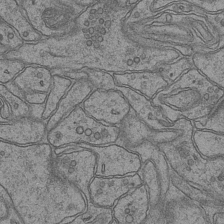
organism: Mouse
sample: CA1 Hippocampus